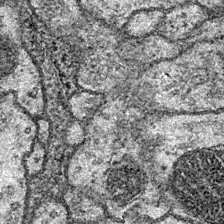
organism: Drosophila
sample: Ventral Nerve Cord